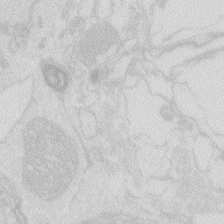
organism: Zebrafish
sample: Macrophage